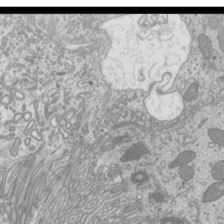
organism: Mouse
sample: Cilia; mouse epididymis